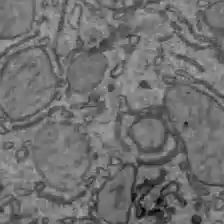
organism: C57BL Mouse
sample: Liver